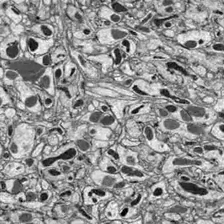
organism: Drosophila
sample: Optic lobe